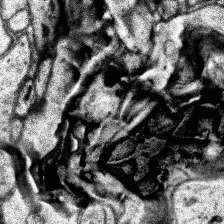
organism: Human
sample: Temporal Lobe